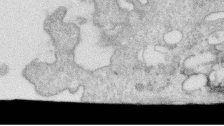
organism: Human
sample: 1205lu cells